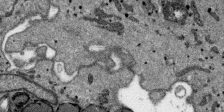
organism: Human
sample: Lung epithelial cells, uninfected (mock) control